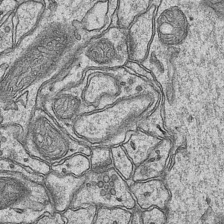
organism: Mouse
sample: CA1 Hippocampus